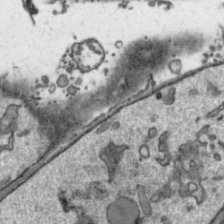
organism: Toxoplasma gondii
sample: Parasites in a vacuole inside a host cell